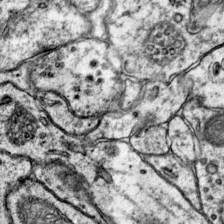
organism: Mouse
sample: Primary visual cortex